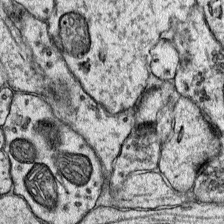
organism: Mouse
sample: Primary visual cortex